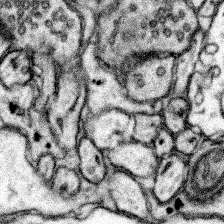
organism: Mouse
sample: Somatosensory cortex neuropil